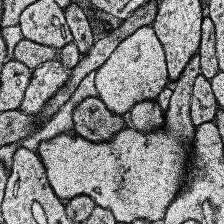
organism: Human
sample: Temporal Lobe